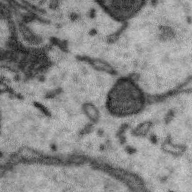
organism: Zebra finch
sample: Brain